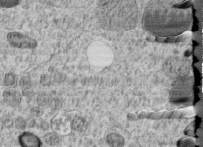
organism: C. elegans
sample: C. elegans embryo early stage